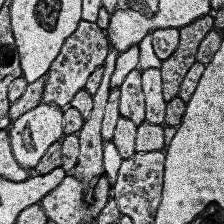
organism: Human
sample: Temporal Lobe